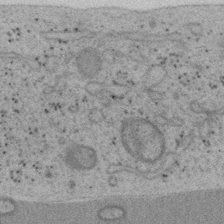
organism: Human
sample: HeLa cells